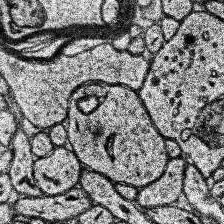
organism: Human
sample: Temporal Lobe